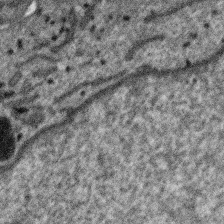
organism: Human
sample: Lung epithelial cells infected with SARS-CoV-2